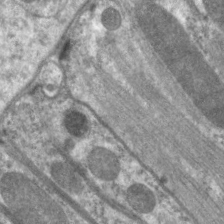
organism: C. elegans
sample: Pharynx